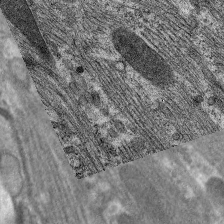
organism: C. elegans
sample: Pharynx